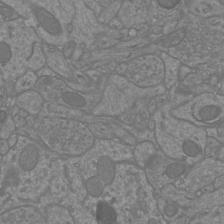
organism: Mouse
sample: Cortical neurons